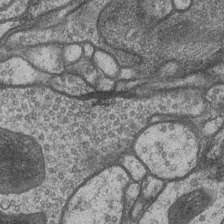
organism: Drosophila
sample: Optic medulla